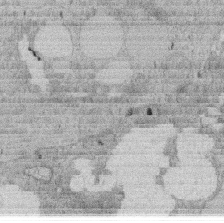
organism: Rat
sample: Salivary granule